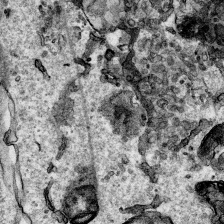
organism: Human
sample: Mitochondria in HCT116 cells